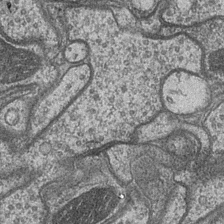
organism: Drosophila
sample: Optic medulla